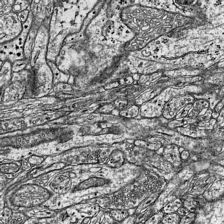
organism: Mouse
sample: Visual Cortex